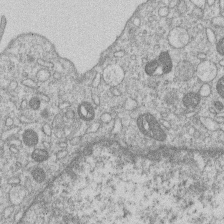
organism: Human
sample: Macrophage cells